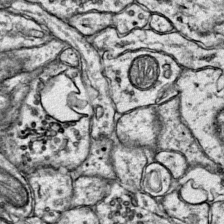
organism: Mouse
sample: Primary visual cortex